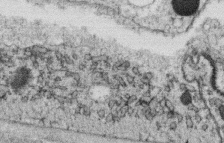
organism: C. elegans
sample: C. elegans oocyte; sperm cells